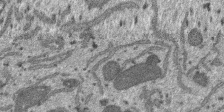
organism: Human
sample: Lung epithelial cells infected with SARS-CoV-2